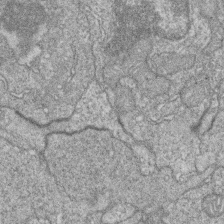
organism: Zebrafish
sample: Cilia; retinal pigment epithelium